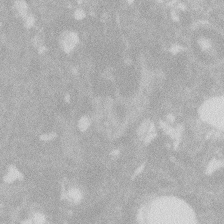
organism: Zebrafish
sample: Macrophage